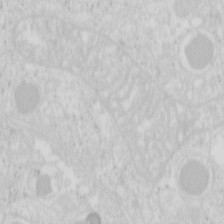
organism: Mouse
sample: Pancreas